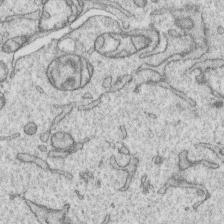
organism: Human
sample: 1205lu cells